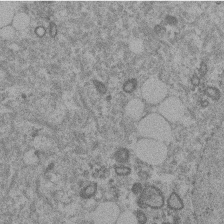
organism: Mouse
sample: Dividing mouse embryo 1 cell stage